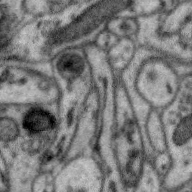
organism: Zebra finch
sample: Brain